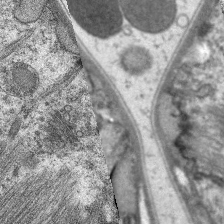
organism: C. elegans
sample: Pharynx